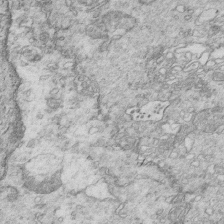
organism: Mouse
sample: Multiciliated cells